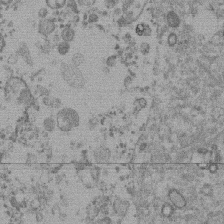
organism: Mouse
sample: Dividing mouse embryo 1 cell stage